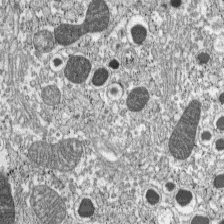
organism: C57BL Mouse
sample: Pancreatic islet